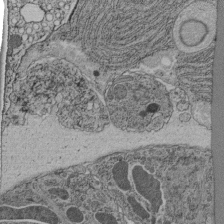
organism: C. elegans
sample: C. elegans pharynx